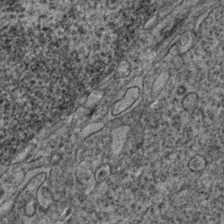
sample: Trachea